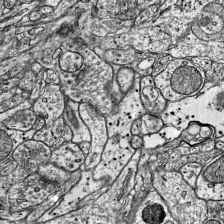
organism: Mouse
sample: Visual Cortex